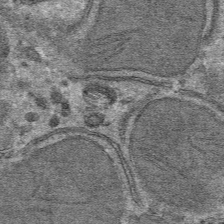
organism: Mouse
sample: Mouse hepatocytes